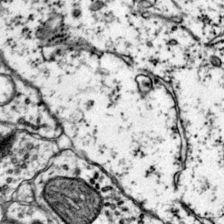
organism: Mouse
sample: Primary visual cortex